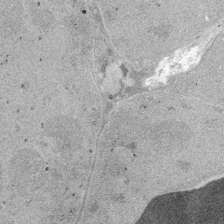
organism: Embia sp.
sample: Silk gland